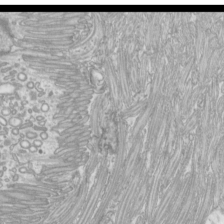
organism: Mouse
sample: Cilia; mouse epididymis